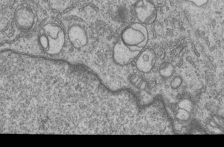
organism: Human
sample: MDA-MB-231 cells